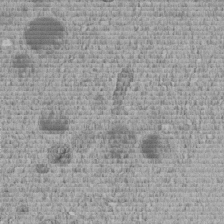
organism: C. elegans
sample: C. elegans embryo early stage